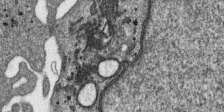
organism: Human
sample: Lung epithelial cells infected with SARS-CoV-2